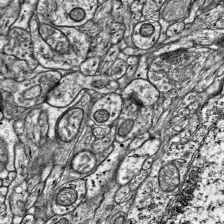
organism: Mouse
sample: Visual Cortex